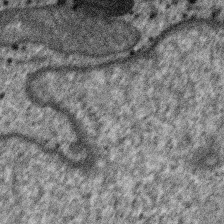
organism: Human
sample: Lung epithelial cells infected with SARS-CoV-2